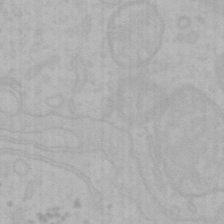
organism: Mouse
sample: Choroid plexus